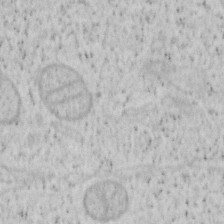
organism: Human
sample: HeLa cells